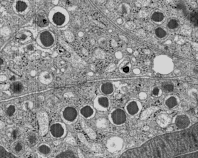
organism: C57BL Mouse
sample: Pancreatic islet